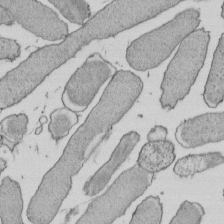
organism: E. coli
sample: Bacterial nucleoid